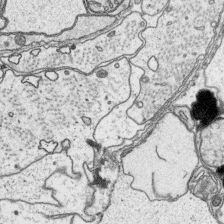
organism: Platynereis dumerilii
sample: Parapodia